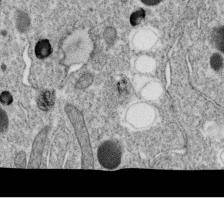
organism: C. elegans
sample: C. elegans oocyte; sperm cells